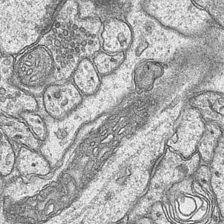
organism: Mouse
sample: CA1 Hippocampus